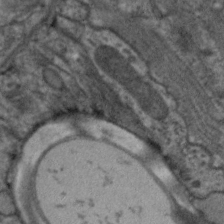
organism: C. elegans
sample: Pharynx